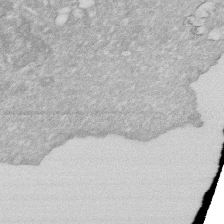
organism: Human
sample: HIV infected U937 cells